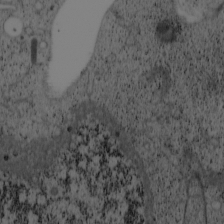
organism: African green monkey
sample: COS-7 cells